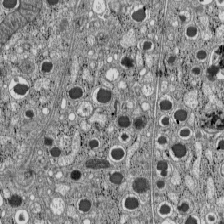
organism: C57BL Mouse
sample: Pancreatic islet